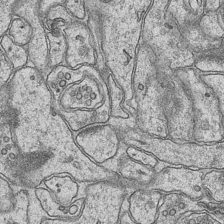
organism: Mouse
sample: CA1 Hippocampus